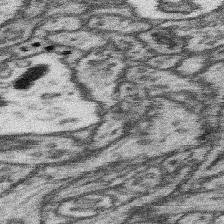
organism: Mouse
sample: Somatosensory cortex neuropil